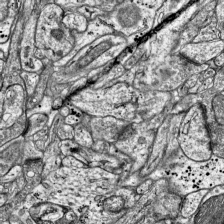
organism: Mouse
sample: Visual Cortex